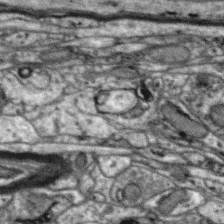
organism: Zebra finch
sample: Brain